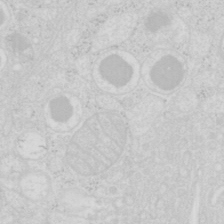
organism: Mouse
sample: Pancreas